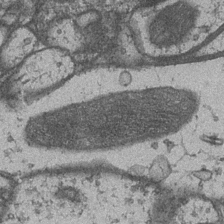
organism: Drosophila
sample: Optic medulla